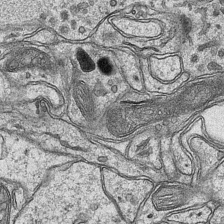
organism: Mouse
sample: CA1 Hippocampus